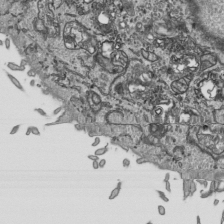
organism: Human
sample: Mitochondria in HCT116 cells